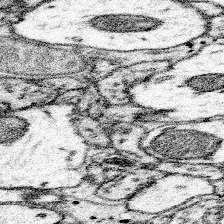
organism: Mouse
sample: Somatosensory cortex neuropil